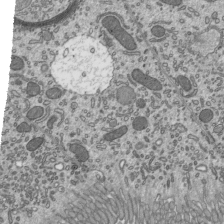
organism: Mouse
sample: Mouse epididymis efferent ductule cilia